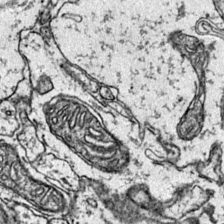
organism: Mouse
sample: Primary visual cortex